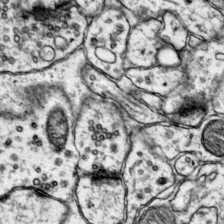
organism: Mouse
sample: Primary visual cortex